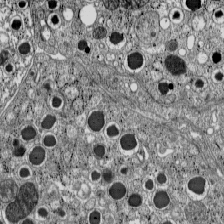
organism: C57BL Mouse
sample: Pancreatic islet